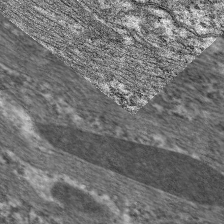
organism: C. elegans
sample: Pharynx